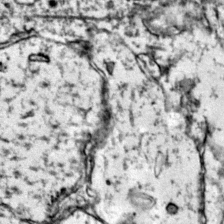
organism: Mouse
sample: Primary visual cortex